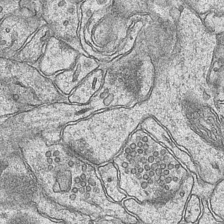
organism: Mouse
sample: CA1 Hippocampus